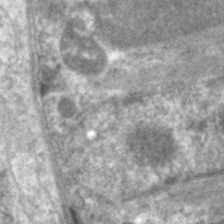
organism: C. elegans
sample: Pharynx